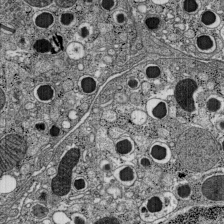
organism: C57BL Mouse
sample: Pancreatic islet